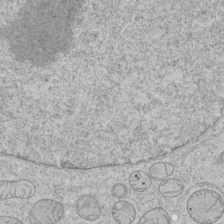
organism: Human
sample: Mitochondria in HCT116 cells